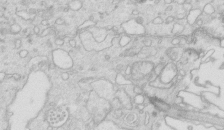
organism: Mouse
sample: Multiciliated cells